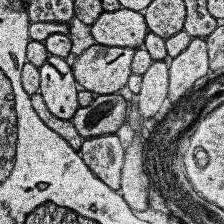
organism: Human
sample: Temporal Lobe